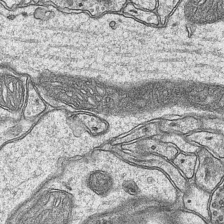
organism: Mouse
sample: CA1 Hippocampus